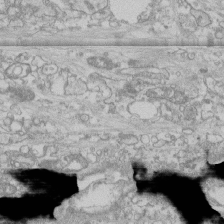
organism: Human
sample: CRL-1474